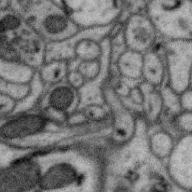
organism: Zebra finch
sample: Brain